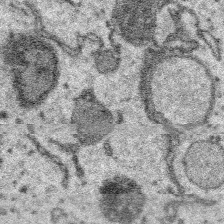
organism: Platynereis dumerilii